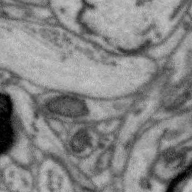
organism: Zebra finch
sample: Brain